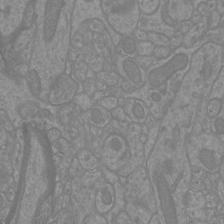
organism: Mouse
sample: Cortical neurons